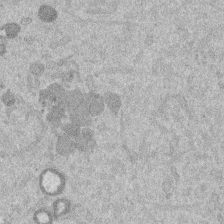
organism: Mouse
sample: Dividing mouse embryo 1 cell stage